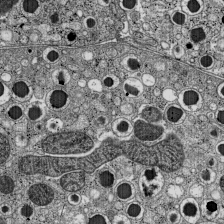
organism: C57BL Mouse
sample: Pancreatic islet